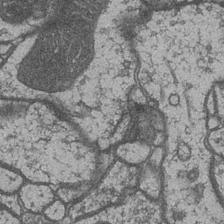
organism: Drosophila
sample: Optic medulla